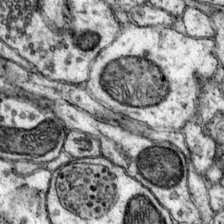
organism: Mouse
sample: Primary visual cortex